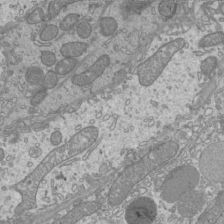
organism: Mouse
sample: Cilia; mouse epididymis